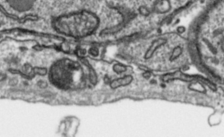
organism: Toxoplasma gondii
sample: Parasites in a vacuole inside a host cell